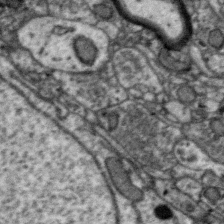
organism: Zebra finch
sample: Brain